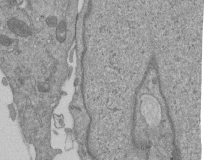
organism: Mouse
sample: ED-1 cell nuclei; centrioles